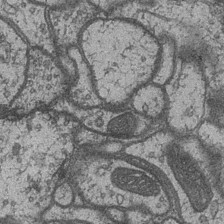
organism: Drosophila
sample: Optic medulla